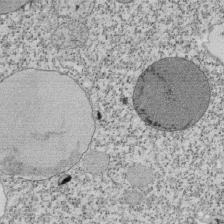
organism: Tetrahymena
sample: Cilia in tetrahymena